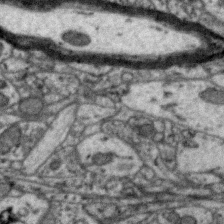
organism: Zebra finch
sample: Brain